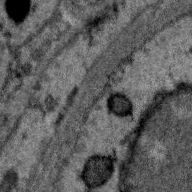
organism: Zebra finch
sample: Brain